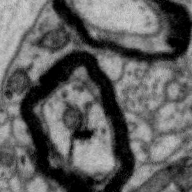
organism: Zebra finch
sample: Brain